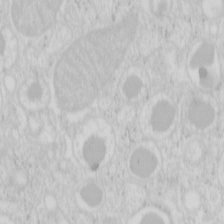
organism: Mouse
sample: Pancreas